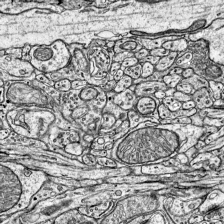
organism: Mouse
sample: Visual Cortex